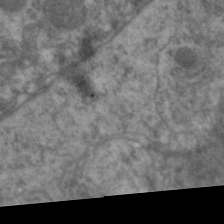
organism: C. elegans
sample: Pharynx